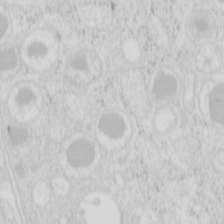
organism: Mouse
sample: Pancreas